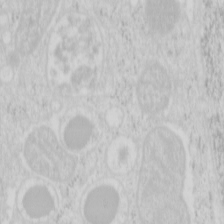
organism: Mouse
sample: Pancreas